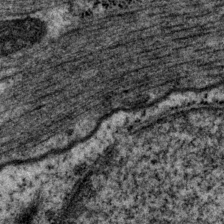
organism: P. pacificus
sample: Pharynx